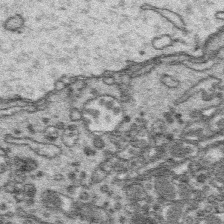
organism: Platynereis dumerilii